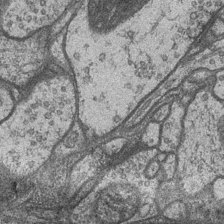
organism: Drosophila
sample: Optic medulla